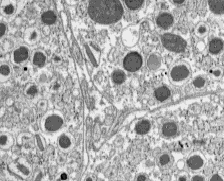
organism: C57BL Mouse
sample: Pancreatic islet